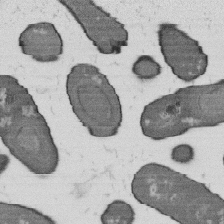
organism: B. subtilis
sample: Bacterial spore